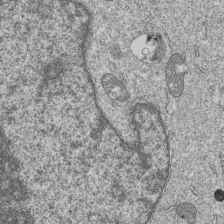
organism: Human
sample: MDA-MB-231 cells